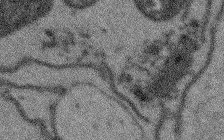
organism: Arabidopsis thaliana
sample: Root tip